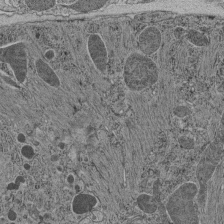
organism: C. elegans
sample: C. elegans pharynx